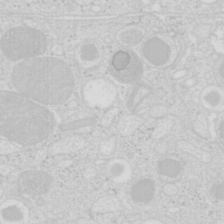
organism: Mouse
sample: Pancreas